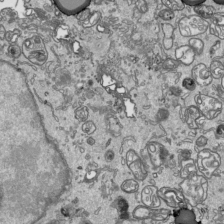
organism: Human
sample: Mitochondria in HCT116 cells